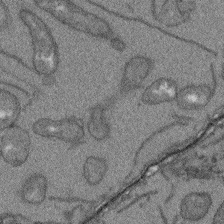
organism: Arabidopsis thaliana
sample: Root tip